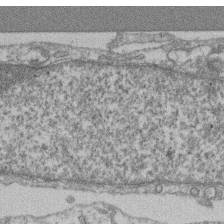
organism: Mouse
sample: T cell stromal cell synapse